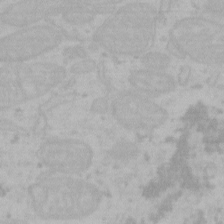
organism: Mouse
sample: Choroid plexus